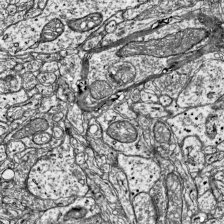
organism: Mouse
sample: Visual Cortex